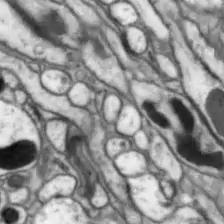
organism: Drosophila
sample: Optic lobe